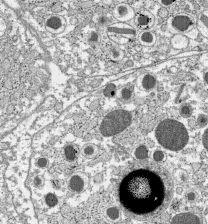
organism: C57BL Mouse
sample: Pancreatic islet